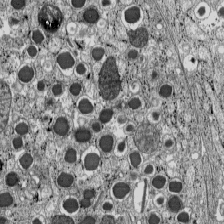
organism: C57BL Mouse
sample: Pancreatic islet